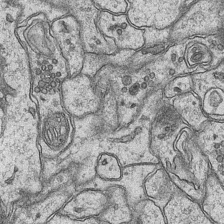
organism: Mouse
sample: CA1 Hippocampus